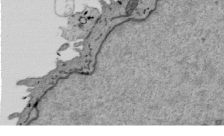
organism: Mouse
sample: ED-1 cell nuclei; centrioles